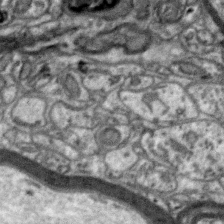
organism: Zebra finch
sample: Brain